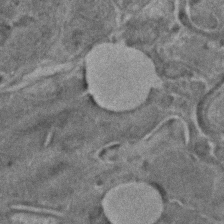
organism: C. elegans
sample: C. elegans embryo